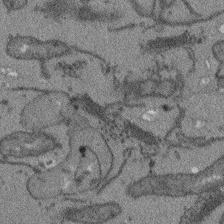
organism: Arabidopsis thaliana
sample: Root tip